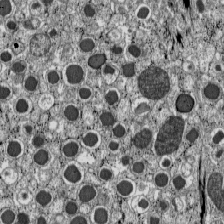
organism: C57BL Mouse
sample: Pancreatic islet